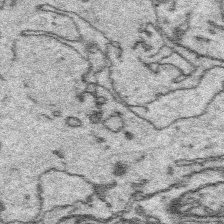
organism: Platynereis dumerilii